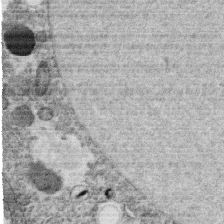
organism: C. elegans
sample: C. elegans oocyte; sperm cells